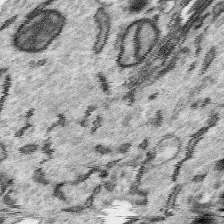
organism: Human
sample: HeLa cells